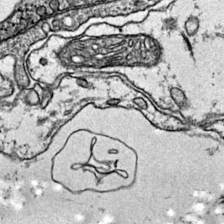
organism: Mouse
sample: Primary visual cortex